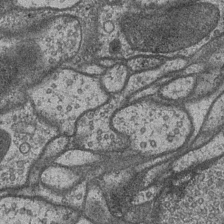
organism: Drosophila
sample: Optic medulla